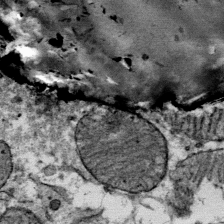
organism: Mouse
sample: Mouse Salivary gland